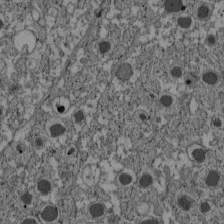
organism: C57BL Mouse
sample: Pancreatic islet